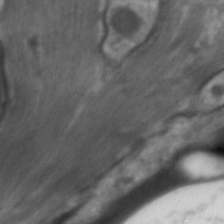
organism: C. elegans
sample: Pharynx